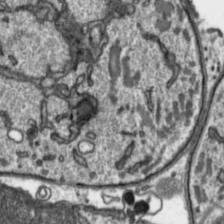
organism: Toxoplasma gondii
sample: Parasites in a vacuole inside a host cell